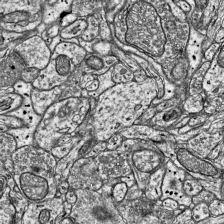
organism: Mouse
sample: Visual Cortex